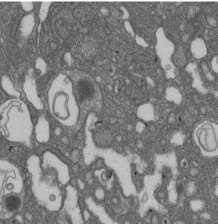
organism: Drosophila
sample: Nephrocyte